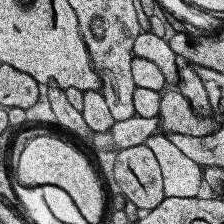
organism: Human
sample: Temporal Lobe